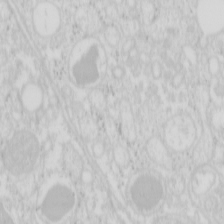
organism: Mouse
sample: Pancreas